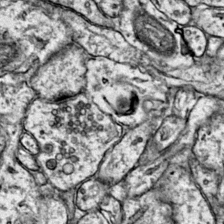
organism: Mouse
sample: Primary visual cortex